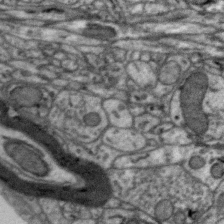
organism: Zebra finch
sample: Brain